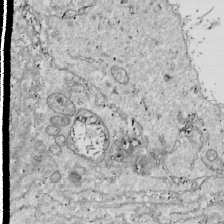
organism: Drosophila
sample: Cell division; meiosis; drosophila spermatocytes